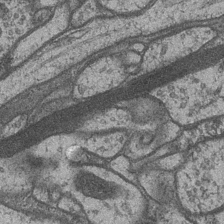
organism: Drosophila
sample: Optic medulla